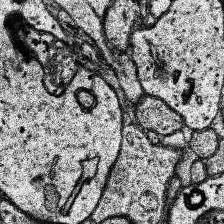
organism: Human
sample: Temporal Lobe